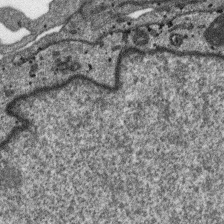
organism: Human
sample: Lung epithelial cells infected with SARS-CoV-2